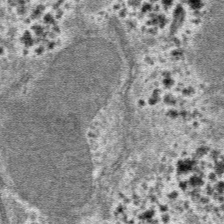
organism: Mouse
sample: Mouse hepatocytes